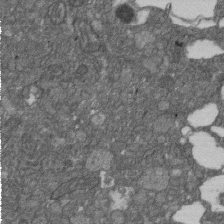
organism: Drosophila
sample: Nephrocyte